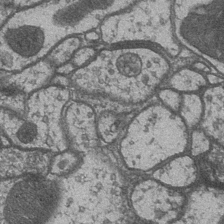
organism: Drosophila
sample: Optic medulla